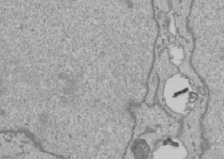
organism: Human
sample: Mitochondria in U2OS cells